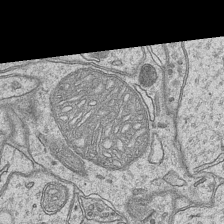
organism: Mouse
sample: CA1 Hippocampus